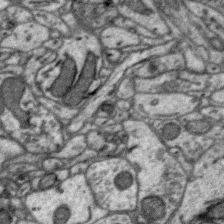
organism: Zebra finch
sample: Brain